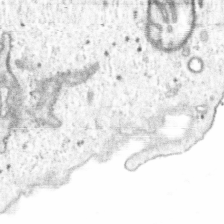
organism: Human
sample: HeLa cells